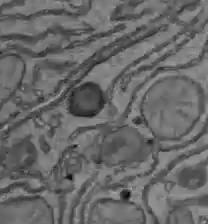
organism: C57BL Mouse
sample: Liver